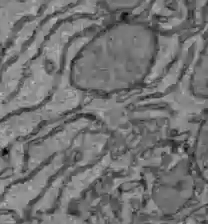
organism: C57BL Mouse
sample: Liver